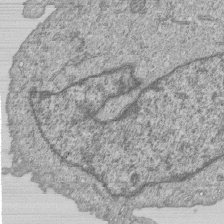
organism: Human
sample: MDA-MB-231 cells